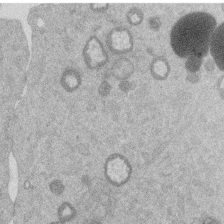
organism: Mouse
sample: Dividing mouse embryo 1 cell stage